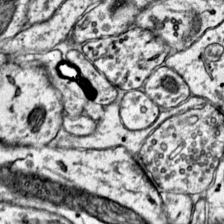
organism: Mouse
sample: Primary visual cortex